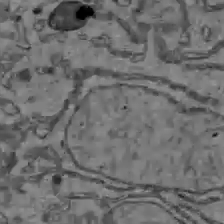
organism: C57BL Mouse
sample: Liver